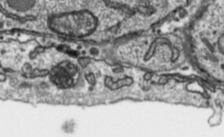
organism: Toxoplasma gondii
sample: Parasites in a vacuole inside a host cell